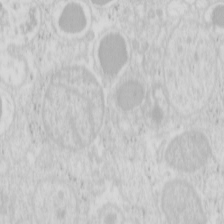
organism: Mouse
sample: Pancreas